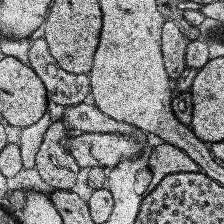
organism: Human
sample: Temporal Lobe